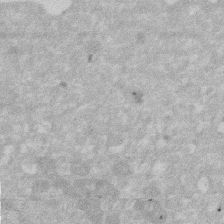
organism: Human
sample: HIV infected U937 cells